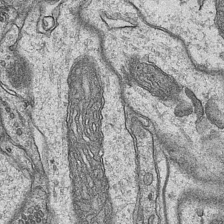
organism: Mouse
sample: CA1 Hippocampus